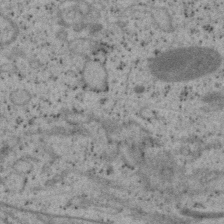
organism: Human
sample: HeLa cells